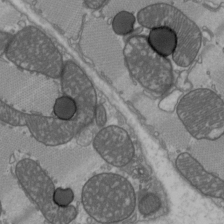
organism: C57BL Mouse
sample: Heart